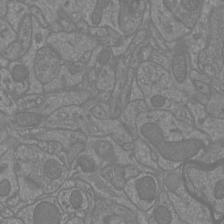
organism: Mouse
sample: Cortical neurons